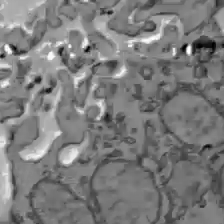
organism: C57BL Mouse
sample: Liver